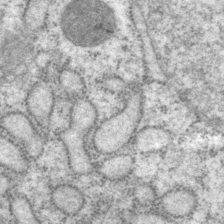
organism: P. pacificus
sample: Pharynx